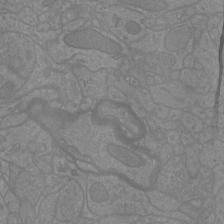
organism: Mouse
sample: Cortical neurons